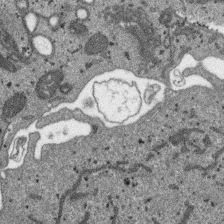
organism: Human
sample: Lung epithelial cells infected with SARS-CoV-2